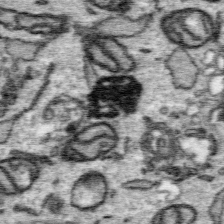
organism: Human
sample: HeLa cells